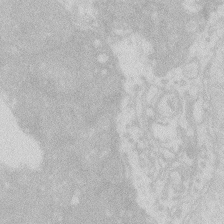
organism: Zebrafish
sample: Macrophage